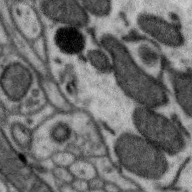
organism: Zebra finch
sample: Brain